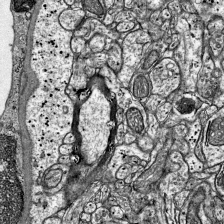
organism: Mouse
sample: Visual Cortex